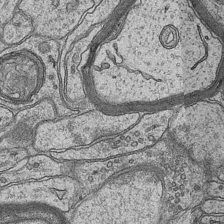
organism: Mouse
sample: CA1 Hippocampus